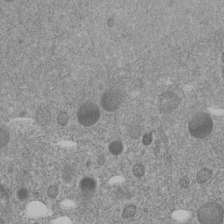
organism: C. elegans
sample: C. elegans embryo early stage